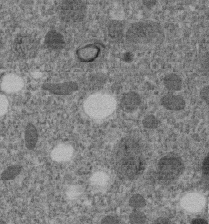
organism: C. elegans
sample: C. elegans embryo early stage